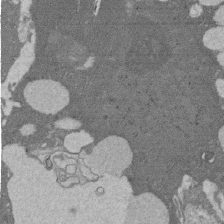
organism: Rat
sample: Salivary granule